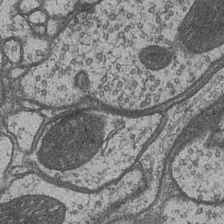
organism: Drosophila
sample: Optic medulla